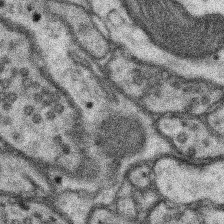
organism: Mouse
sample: Somatosensory cortex neuropil